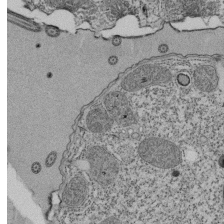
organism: Tetrahymena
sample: Cilia in tetrahymena